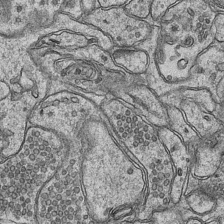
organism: Mouse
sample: CA1 Hippocampus